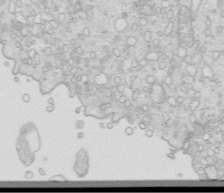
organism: Mouse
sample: Multiciliated cells